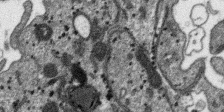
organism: Human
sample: Lung epithelial cells infected with SARS-CoV-2